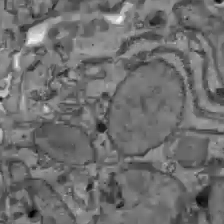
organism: C57BL Mouse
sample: Liver